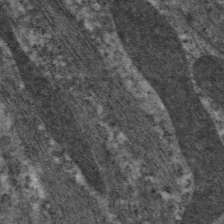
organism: C. elegans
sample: Pharynx